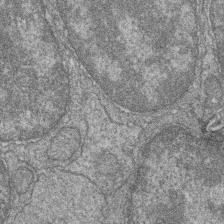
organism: Zebrafish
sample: Cilia; retinal pigment epithelium